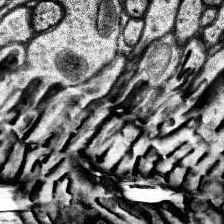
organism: Human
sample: Temporal Lobe